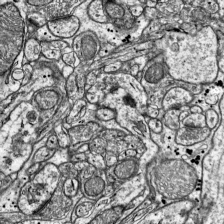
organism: Mouse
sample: Visual Cortex